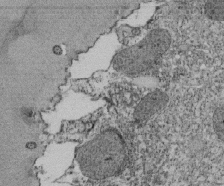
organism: Tetrahymena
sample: Cilia in tetrahymena